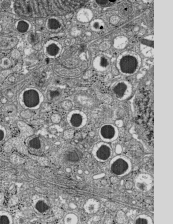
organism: C57BL Mouse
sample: Pancreatic islet